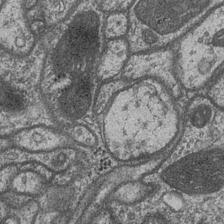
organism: Drosophila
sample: Optic medulla